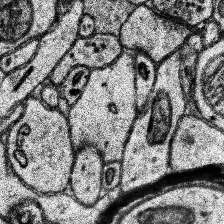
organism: Human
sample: Temporal Lobe